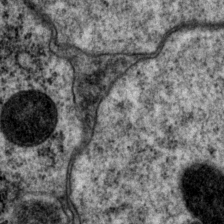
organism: P. pacificus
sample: Pharynx